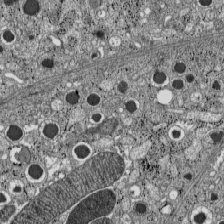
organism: C57BL Mouse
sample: Pancreatic islet